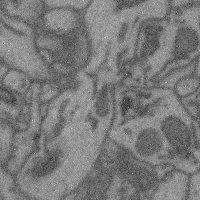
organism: Mouse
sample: Cerebral cortex